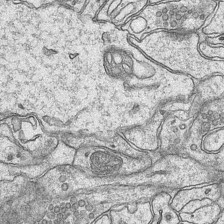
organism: Mouse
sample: CA1 Hippocampus